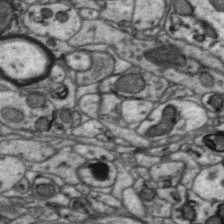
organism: Zebra finch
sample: Brain